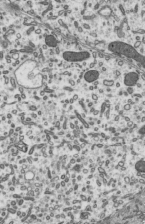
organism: Mouse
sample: Mouse epididymis efferent ductule cilia